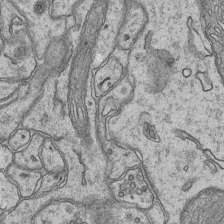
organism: Mouse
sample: CA1 Hippocampus